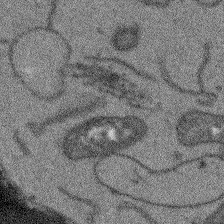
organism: Arabidopsis thaliana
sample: Root tip